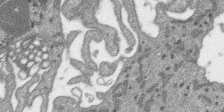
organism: Human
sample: Lung epithelial cells infected with SARS-CoV-2